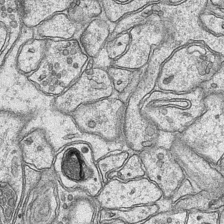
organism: Mouse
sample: CA1 Hippocampus